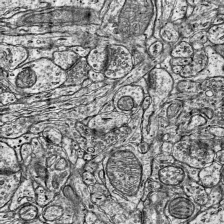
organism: Mouse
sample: Visual Cortex